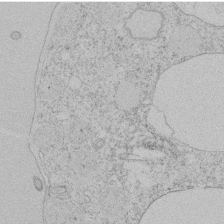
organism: Tetrahymena